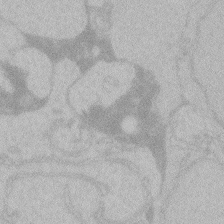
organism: Zebrafish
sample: Macrophage infected with Toxoplasma gondii